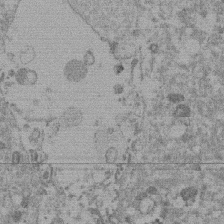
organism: Mouse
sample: Dividing mouse embryo 1 cell stage